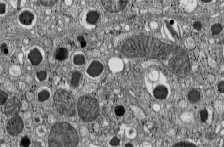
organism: C57BL Mouse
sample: Pancreatic islet